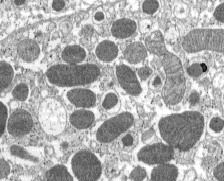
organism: C57BL Mouse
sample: Pancreatic islet